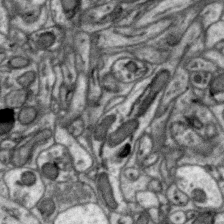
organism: Zebra finch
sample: Brain